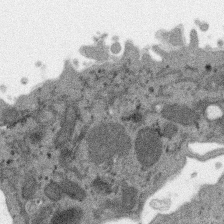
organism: Human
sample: Lung epithelial cells infected with SARS-CoV-2